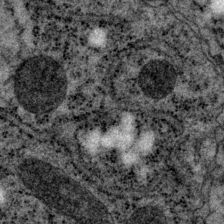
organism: P. pacificus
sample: Pharynx